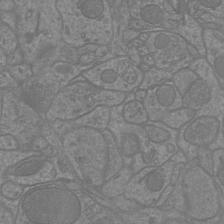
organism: Mouse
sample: Cortical neurons